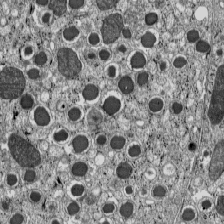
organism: C57BL Mouse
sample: Pancreatic islet